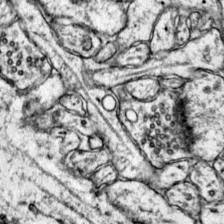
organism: Mouse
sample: Primary visual cortex